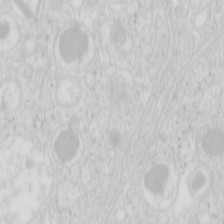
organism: Mouse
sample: Pancreas